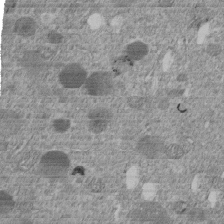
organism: C. elegans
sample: C. elegans embryo early stage